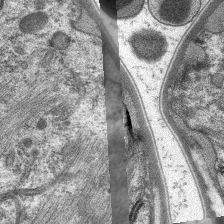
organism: C. elegans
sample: Pharynx